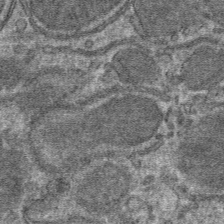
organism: Mouse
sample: Mouse hepatocytes